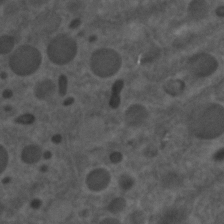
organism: C. elegans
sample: C. elegans embryo